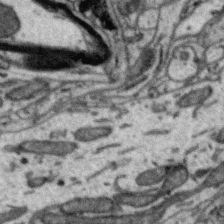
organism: Zebra finch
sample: Brain